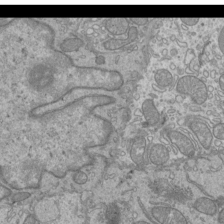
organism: Mouse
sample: Cilia; mouse epididymis